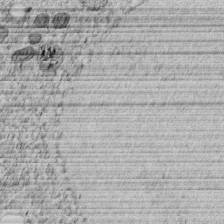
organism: C. elegans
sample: C. elegans embryo early stage